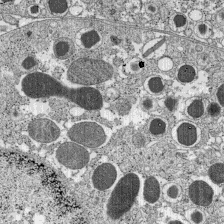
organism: C57BL Mouse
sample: Pancreatic islet